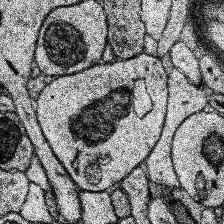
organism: Human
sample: Temporal Lobe